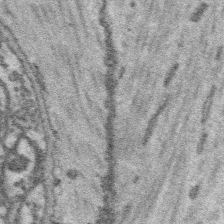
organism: Platynereis dumerilii